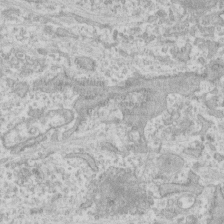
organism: Human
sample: CRL-1474